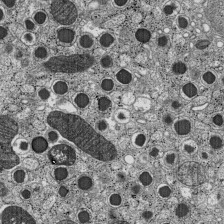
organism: C57BL Mouse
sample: Pancreatic islet